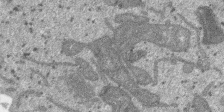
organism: Human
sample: Lung epithelial cells infected with SARS-CoV-2